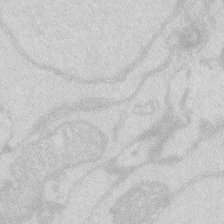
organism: Zebrafish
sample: Macrophage